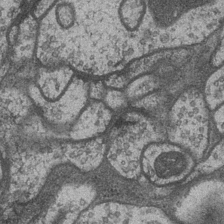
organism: Drosophila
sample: Optic medulla